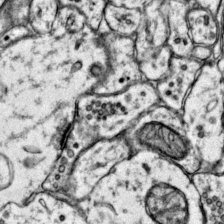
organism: Mouse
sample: Primary visual cortex